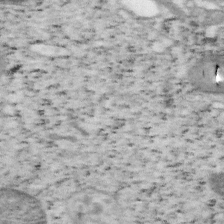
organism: Mouse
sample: OT-I killer T cells with ID8 ovarian cancer cells